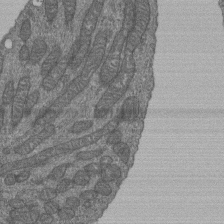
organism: Human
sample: Retinal organoid Rod and Cone cells